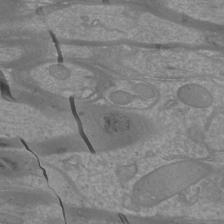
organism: Mouse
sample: Cortical neurons